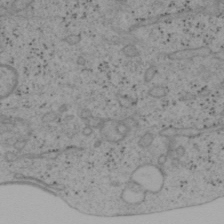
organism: Human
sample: HeLa cells